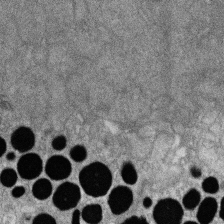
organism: Zebrafish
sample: Cilia; retinal pigment epithelium